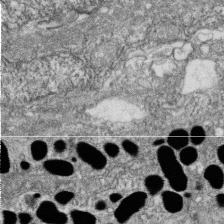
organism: Zebrafish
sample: Cilia; retinal pigment epithelium